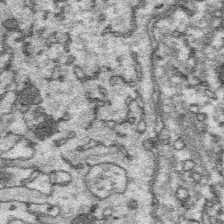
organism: Platynereis dumerilii